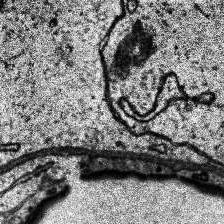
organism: Human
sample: Temporal Lobe